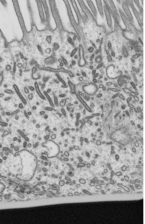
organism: Mouse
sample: Mouse epididymis efferent ductule cilia